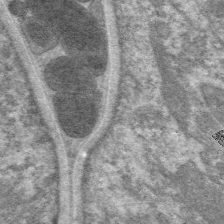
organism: C. elegans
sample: Pharynx